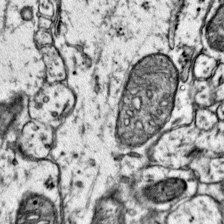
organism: Mouse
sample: Primary visual cortex